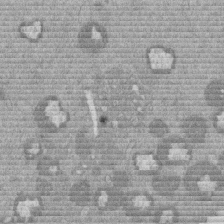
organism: Mouse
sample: Dividing mouse embryo 1 cell stage